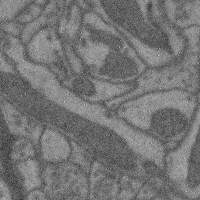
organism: Mouse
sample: Cerebral cortex